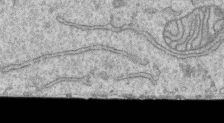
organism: Human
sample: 1205lu cells